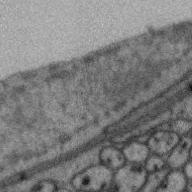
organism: Zebra finch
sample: Brain